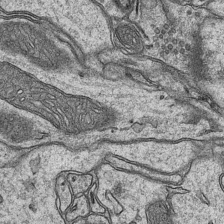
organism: Mouse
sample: CA1 Hippocampus